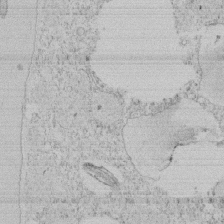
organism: Tetrahymena